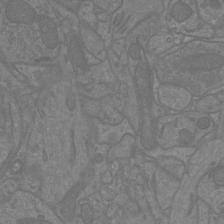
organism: Mouse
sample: Cortical neurons